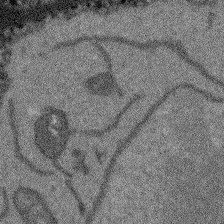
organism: Arabidopsis thaliana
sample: Root tip